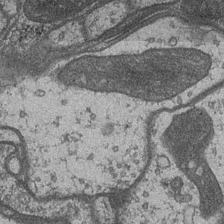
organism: Drosophila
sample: Optic medulla